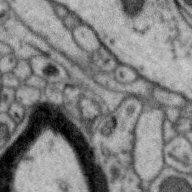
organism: Zebra finch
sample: Brain